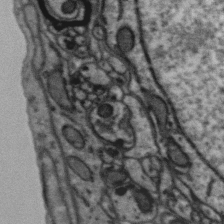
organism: Zebra finch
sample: Brain